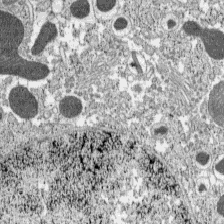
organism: C57BL Mouse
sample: Pancreatic islet